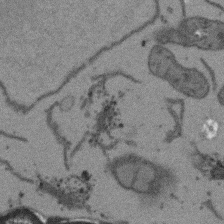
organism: Arabidopsis thaliana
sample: Root tip